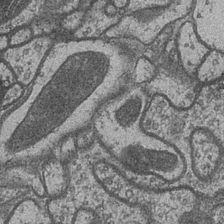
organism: Drosophila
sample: Optic medulla